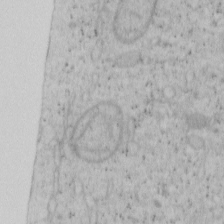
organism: Human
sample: HeLa cells